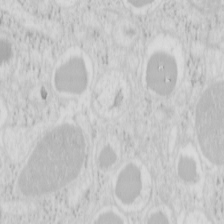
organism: Mouse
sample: Pancreas